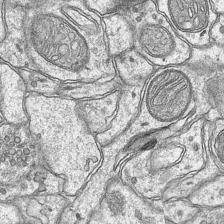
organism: Mouse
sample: CA1 Hippocampus